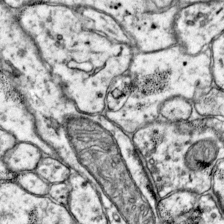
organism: Mouse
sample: Primary visual cortex